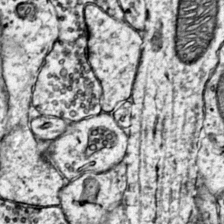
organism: Mouse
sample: Primary visual cortex